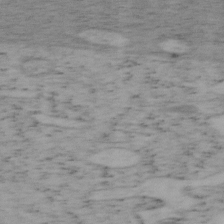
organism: Mouse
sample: OT-I killer T cells with ID8 ovarian cancer cells